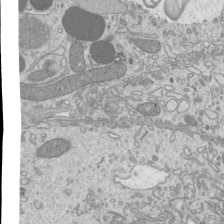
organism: Mouse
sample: Cilia; mouse epididymis